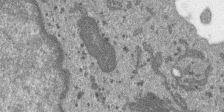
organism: Human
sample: Lung epithelial cells infected with SARS-CoV-2